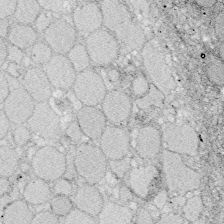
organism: Zebrafish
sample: Whole-Brain